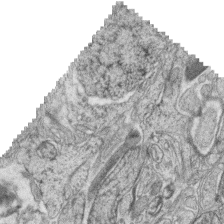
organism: Zebrafish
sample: synaptic ribbons in rod cells and cone cells